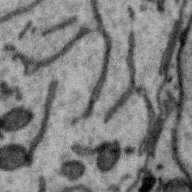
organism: Zebra finch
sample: Brain